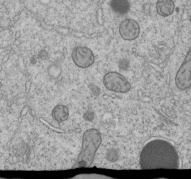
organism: C. elegans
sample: C. elegans embryo early stage